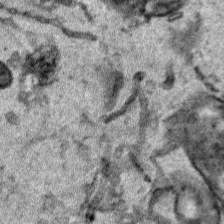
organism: Human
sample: Mitochondria in HCT116 cells